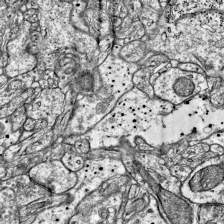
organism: Mouse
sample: Visual Cortex